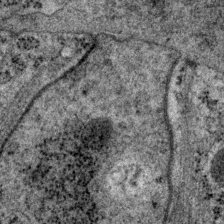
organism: P. pacificus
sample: Pharynx